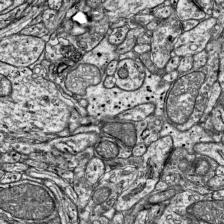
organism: Mouse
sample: Visual Cortex